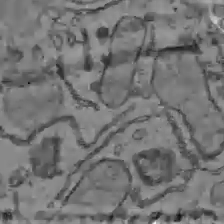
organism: C57BL Mouse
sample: Liver